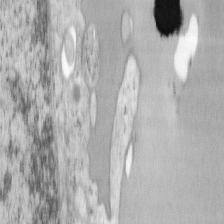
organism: Human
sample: HeLa cells